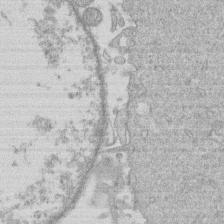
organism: Human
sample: Macrophage cells